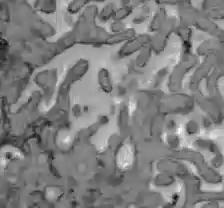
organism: C57BL Mouse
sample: Liver